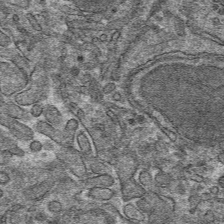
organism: Mouse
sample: Mouse hepatocytes